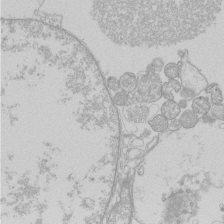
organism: Human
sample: Macrophage cells